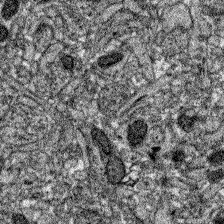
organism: Zebrafish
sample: Larval olfactory bulb